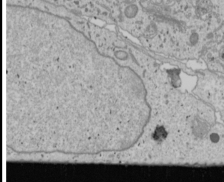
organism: Human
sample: Mitochondria in U2OS cells